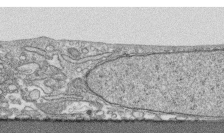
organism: Human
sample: CRL-1474